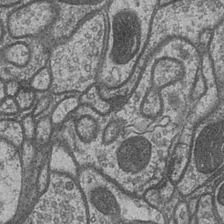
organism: Drosophila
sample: Optic medulla